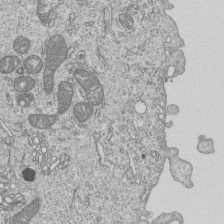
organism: Human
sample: MDA-MB-231 cells